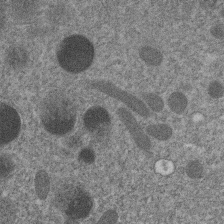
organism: C. elegans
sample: C. elegans embryo early stage